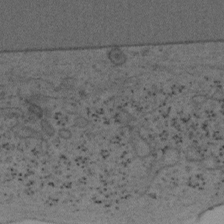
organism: Human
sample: HeLa cells